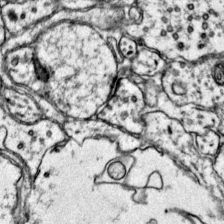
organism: Mouse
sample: Primary visual cortex